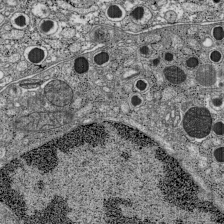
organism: C57BL Mouse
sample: Pancreatic islet